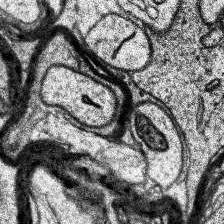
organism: Human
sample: Temporal Lobe